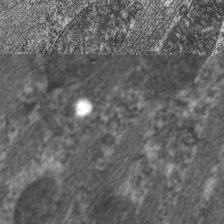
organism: C. elegans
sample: Pharynx